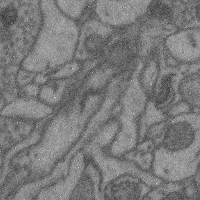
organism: Mouse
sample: Cerebral cortex